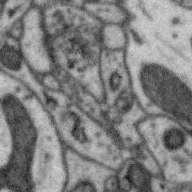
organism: Zebra finch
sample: Brain